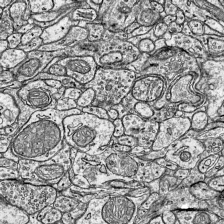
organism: Mouse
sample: Visual Cortex